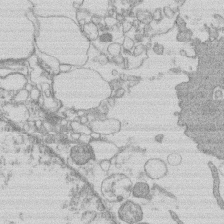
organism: Human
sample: Macrophage cells